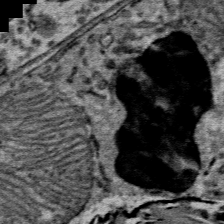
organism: Mouse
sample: Mouse Salivary gland